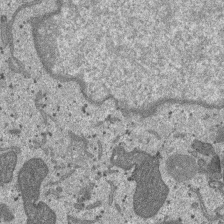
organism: Human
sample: Lung epithelial cells infected with SARS-CoV-2